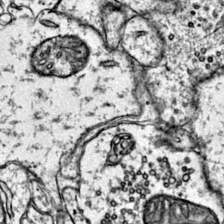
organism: Mouse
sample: Primary visual cortex